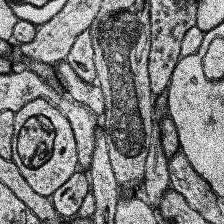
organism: Human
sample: Temporal Lobe